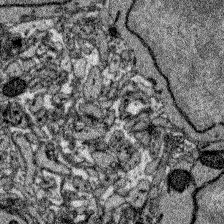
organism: Zebrafish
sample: Larval olfactory bulb